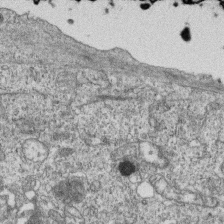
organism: Human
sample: HeLa cell HIV synapse